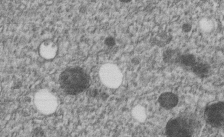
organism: C. elegans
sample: C. elegans embryo early stage